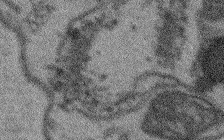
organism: Arabidopsis thaliana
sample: Root tip